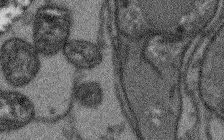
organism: Arabidopsis thaliana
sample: Root tip